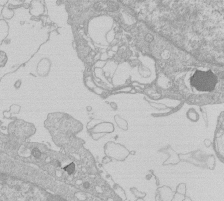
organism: Human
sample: Macrophage cells